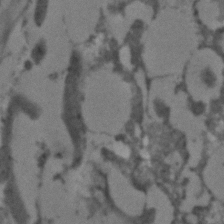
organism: C. elegans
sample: C. elegans embryo